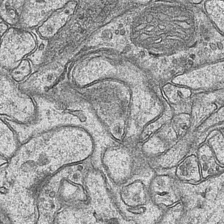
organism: Mouse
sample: CA1 Hippocampus